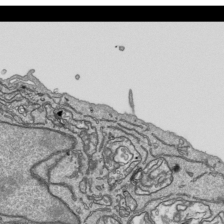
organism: Human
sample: Mitochondria in HCT116 cells